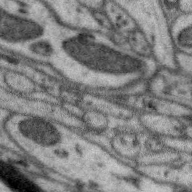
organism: Zebra finch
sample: Brain